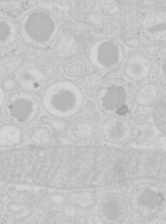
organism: Mouse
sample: Pancreas